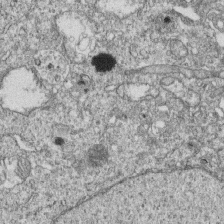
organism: Human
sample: HeLa cell HIV synapse